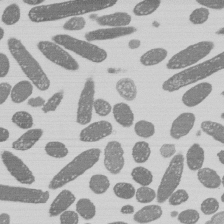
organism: E. coli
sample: Bacterial nucleoid